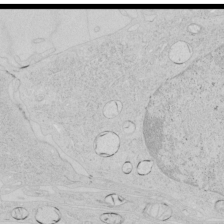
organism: Human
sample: Mitochondria in HCT116 cells